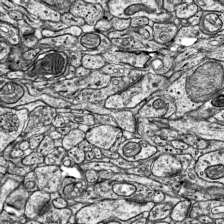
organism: Mouse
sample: Visual Cortex